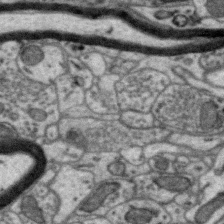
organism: Zebra finch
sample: Brain